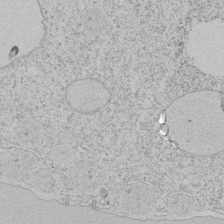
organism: Tetrahymena